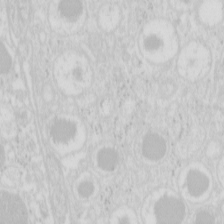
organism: Mouse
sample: Pancreas